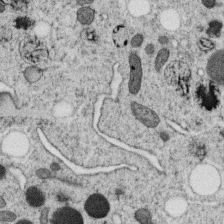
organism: C. elegans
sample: C. elegans oocyte; sperm cells